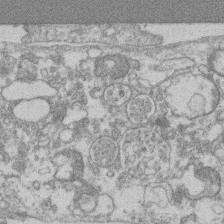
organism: Mouse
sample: T cell stromal cell synapse